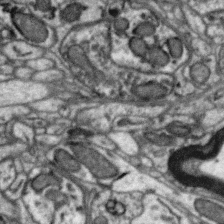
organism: Zebra finch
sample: Brain